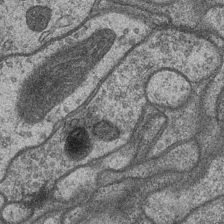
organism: Drosophila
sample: Optic medulla